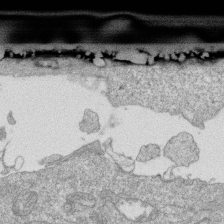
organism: Human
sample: HeLa cell HIV synapse